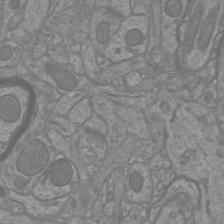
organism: Mouse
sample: Cortical neurons